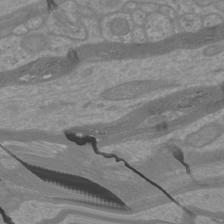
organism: Mouse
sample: Cortical neurons